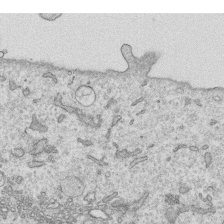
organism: Human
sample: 1205lu cells